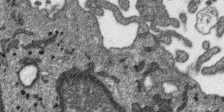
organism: Human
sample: Lung epithelial cells infected with SARS-CoV-2